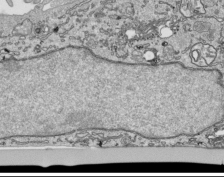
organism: Human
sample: Mitochondria in HCT116 cells